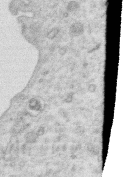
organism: Human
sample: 1205lu cells